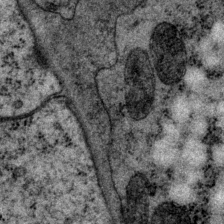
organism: P. pacificus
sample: Pharynx